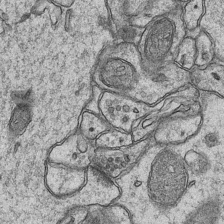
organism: Mouse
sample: CA1 Hippocampus